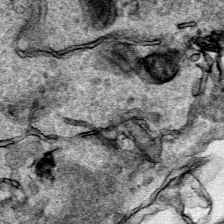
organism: Human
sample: Mitochondria in HCT116 cells